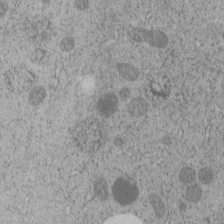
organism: C. elegans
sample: C. elegans embryo early stage